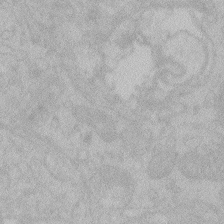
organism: Zebrafish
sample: Macrophage infected with Toxoplasma gondii